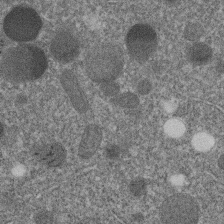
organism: C. elegans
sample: C. elegans embryo early stage